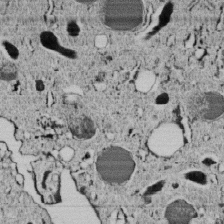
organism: C. elegans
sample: C. elegans embryo early stage